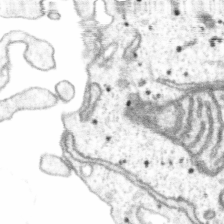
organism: Human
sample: HeLa cells